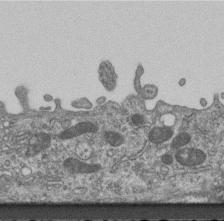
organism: Mouse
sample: Centriole in ependymal cells